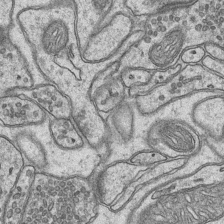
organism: Mouse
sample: CA1 Hippocampus